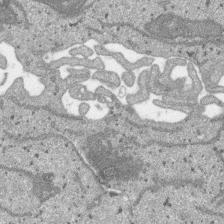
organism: Human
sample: Lung epithelial cells infected with SARS-CoV-2